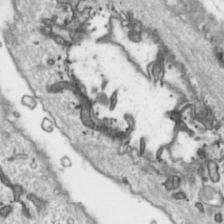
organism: Toxoplasma gondii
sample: Parasites in a vacuole inside a host cell